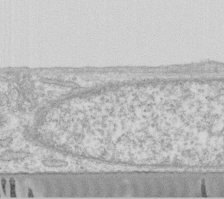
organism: Human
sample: Fibroblast cells